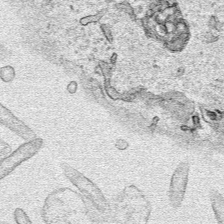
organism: Human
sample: Mitochondria in HCT116 cells